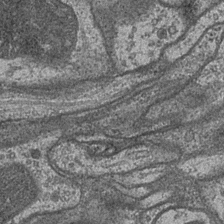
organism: Drosophila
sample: Optic medulla